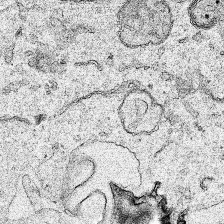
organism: Human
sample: Mitochondria in HCT116 cells